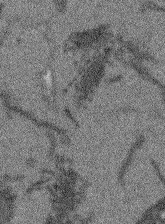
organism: Arabidopsis thaliana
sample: Root tip